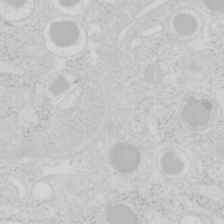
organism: Mouse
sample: Pancreas